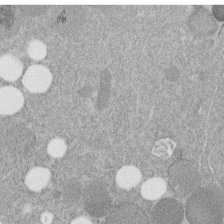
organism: C. elegans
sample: C. elegans embryo early stage